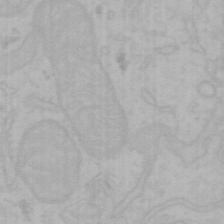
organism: Mouse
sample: Choroid plexus